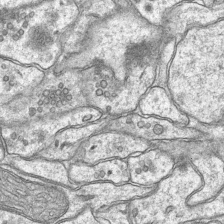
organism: Mouse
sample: CA1 Hippocampus